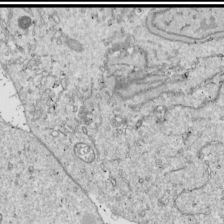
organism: Drosophila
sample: Cell division; meiosis; drosophila spermatocytes